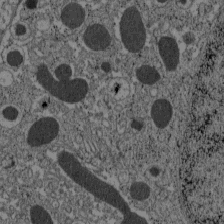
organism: C57BL Mouse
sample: Pancreatic islet